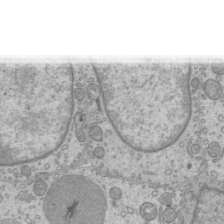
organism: Mouse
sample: Cilia; mouse epididymis